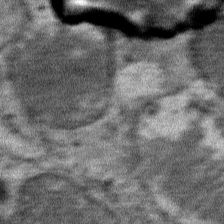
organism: Mouse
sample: Mouse Salivary gland